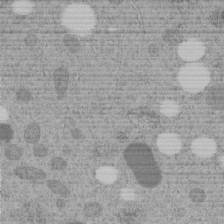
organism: C. elegans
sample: C. elegans embryo early stage